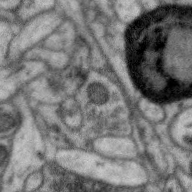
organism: Zebra finch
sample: Brain